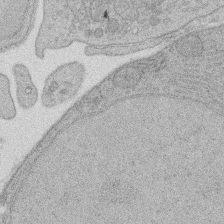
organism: Rat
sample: Salivary granule